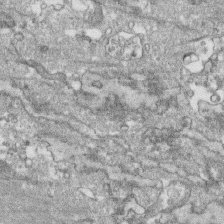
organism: Human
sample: CRL-1474